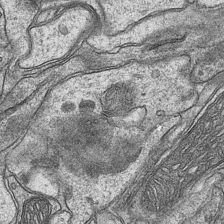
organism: Mouse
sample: CA1 Hippocampus